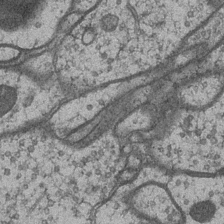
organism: Drosophila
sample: Optic medulla